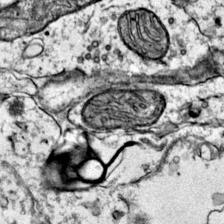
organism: Mouse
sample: Primary visual cortex